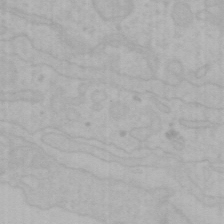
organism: Mouse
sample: Choroid plexus